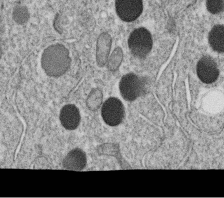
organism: C. elegans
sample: C. elegans oocyte; sperm cells